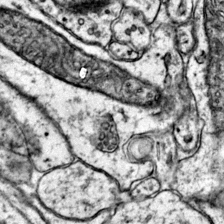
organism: Mouse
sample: Primary visual cortex